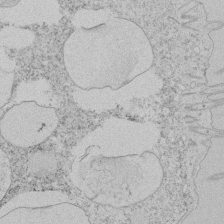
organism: Tetrahymena